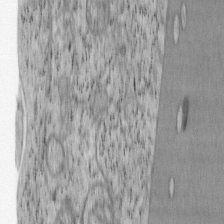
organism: Human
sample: HeLa cells